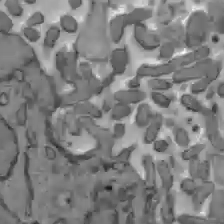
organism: C57BL Mouse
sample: Liver